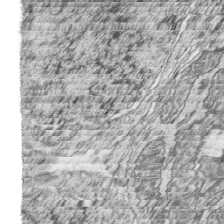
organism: Zebrafish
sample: synaptic ribbons in rod cells and cone cells